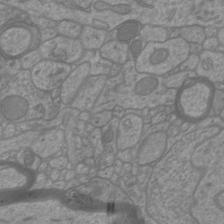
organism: Mouse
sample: Cortical neurons